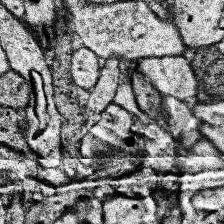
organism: Human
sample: Temporal Lobe